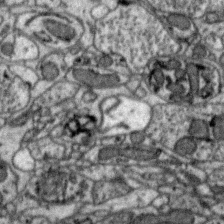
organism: Zebra finch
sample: Brain